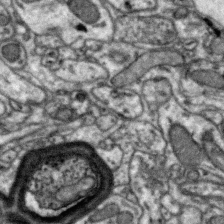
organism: Zebra finch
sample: Brain